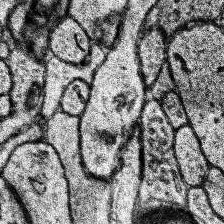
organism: Human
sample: Temporal Lobe